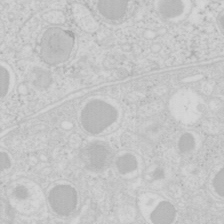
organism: Mouse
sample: Pancreas